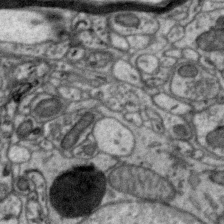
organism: Zebra finch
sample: Brain